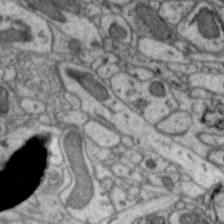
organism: Zebra finch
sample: Brain